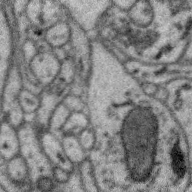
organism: Zebra finch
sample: Brain